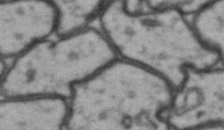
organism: Drosophila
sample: Brain